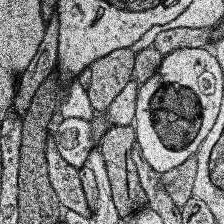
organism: Human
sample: Temporal Lobe